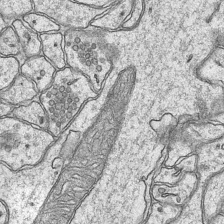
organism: Mouse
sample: CA1 Hippocampus